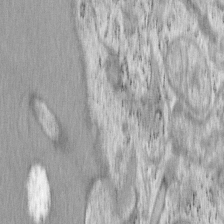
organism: Human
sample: HeLa cells